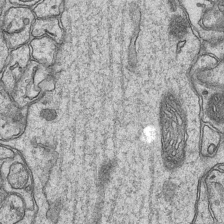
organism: Mouse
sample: CA1 Hippocampus